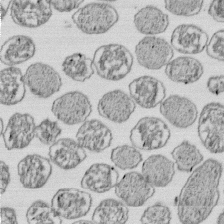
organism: E. coli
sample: Bacterial nucleoid